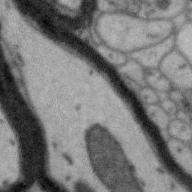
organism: Zebra finch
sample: Brain